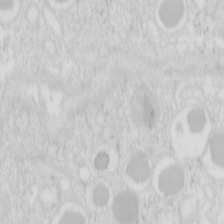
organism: Mouse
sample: Pancreas